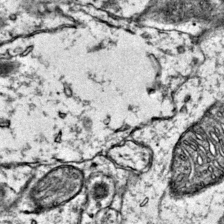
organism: Mouse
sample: Primary visual cortex